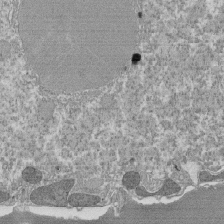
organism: Tetrahymena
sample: Cilia in tetrahymena